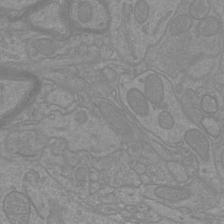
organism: Mouse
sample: Cortical neurons